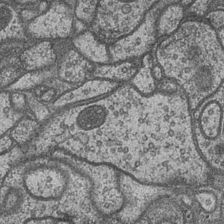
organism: Drosophila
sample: Optic medulla